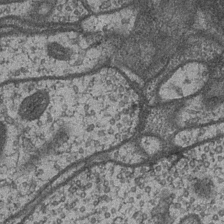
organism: Drosophila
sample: Optic medulla